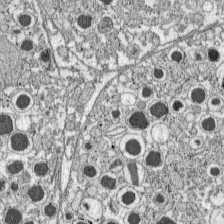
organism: C57BL Mouse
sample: Pancreatic islet